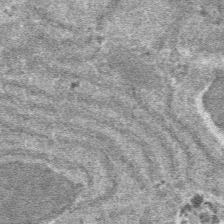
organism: Mouse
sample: Mouse hepatocytes